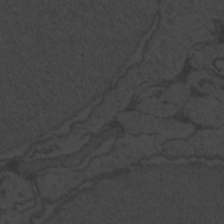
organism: Zebrafish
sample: Macrophage infected with Toxoplasma gondii